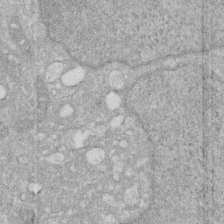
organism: Human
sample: HIV infected U937 cells